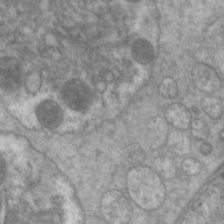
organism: C. elegans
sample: Pharynx